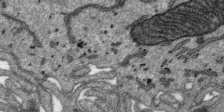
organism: Human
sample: Lung epithelial cells, uninfected (mock) control